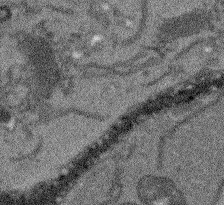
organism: Arabidopsis thaliana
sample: Root tip